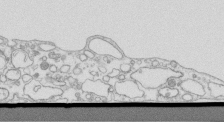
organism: Mouse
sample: Macrophages